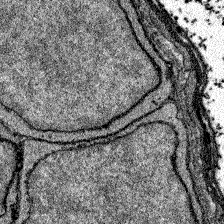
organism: Zebrafish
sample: Larval olfactory bulb